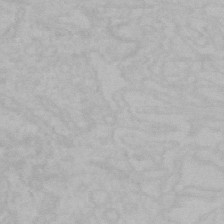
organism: Mouse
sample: Choroid plexus